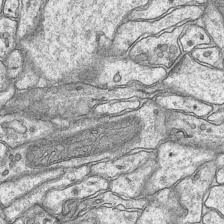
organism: Mouse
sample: CA1 Hippocampus